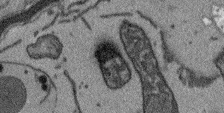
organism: Arabidopsis thaliana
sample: Root tip